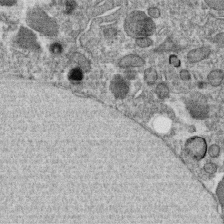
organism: C. elegans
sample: C. elegans oocyte; sperm cells